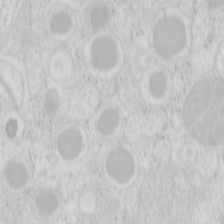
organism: Mouse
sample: Pancreas